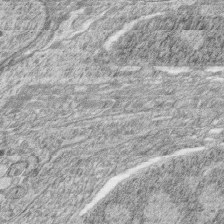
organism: Zebrafish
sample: synaptic ribbons in rod cells and cone cells